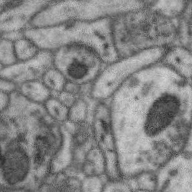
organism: Zebra finch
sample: Brain